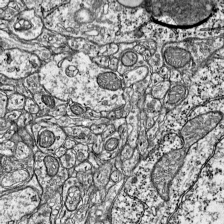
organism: Mouse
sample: Visual Cortex